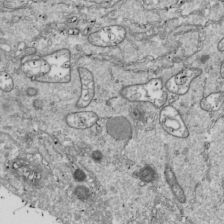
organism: Drosophila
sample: Cell division; meiosis; drosophila spermatocytes